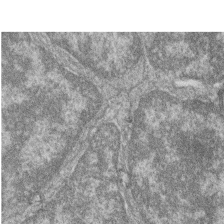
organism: Zebrafish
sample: Cilia; retinal pigment epithelium